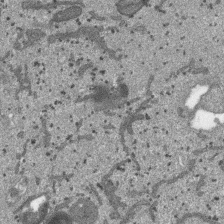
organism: Human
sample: Lung epithelial cells infected with SARS-CoV-2